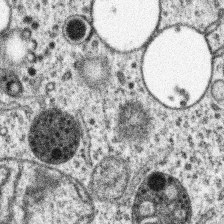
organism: Human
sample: HeLa cells